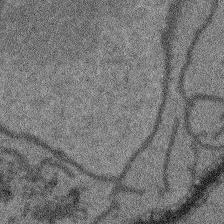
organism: Arabidopsis thaliana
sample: Root tip